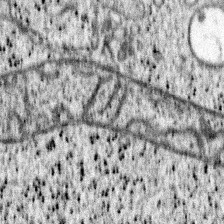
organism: Human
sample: HeLa cells